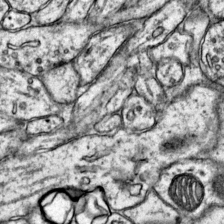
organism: Mouse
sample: Primary visual cortex